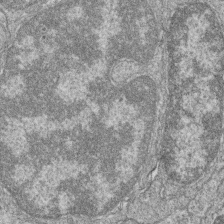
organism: Zebrafish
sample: Cilia; retinal pigment epithelium